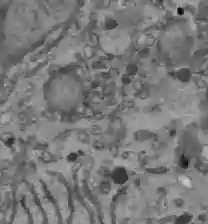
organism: C57BL Mouse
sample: Liver